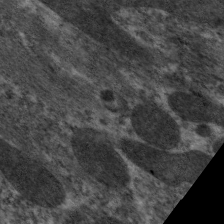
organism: C. elegans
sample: Pharynx